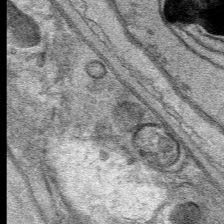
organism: Mouse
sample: Mouse Salivary gland